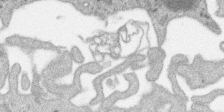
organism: Human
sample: Lung epithelial cells infected with SARS-CoV-2